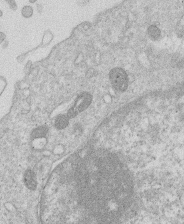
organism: Human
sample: Macrophage cells